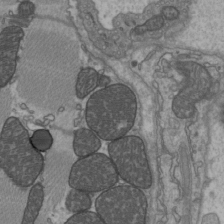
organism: C57BL Mouse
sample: Heart